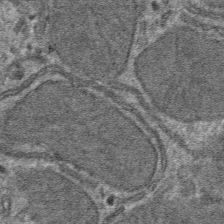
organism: Mouse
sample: Mouse hepatocytes